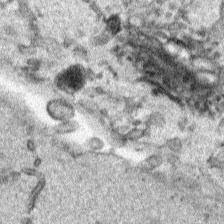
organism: Human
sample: Mitochondria in HCT116 cells